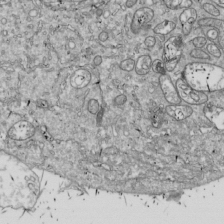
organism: Drosophila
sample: Cell division; meiosis; drosophila spermatocytes